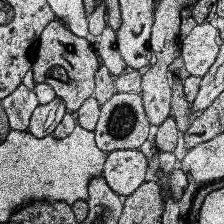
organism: Human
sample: Temporal Lobe